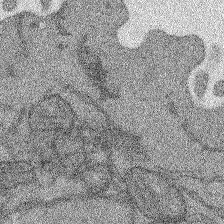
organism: Human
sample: HeLa cells